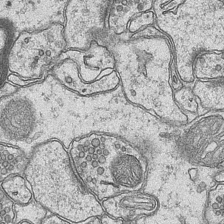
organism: Mouse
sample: CA1 Hippocampus